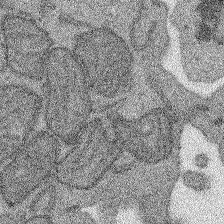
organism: Human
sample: HeLa cells